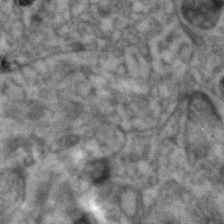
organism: Human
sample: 1205lu cells